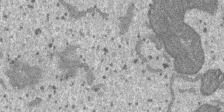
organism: Human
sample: Lung epithelial cells infected with SARS-CoV-2